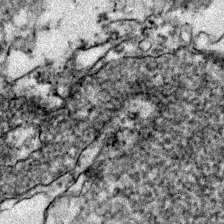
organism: Zebrafish